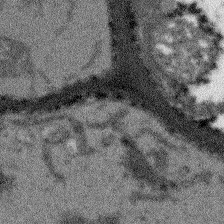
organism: Arabidopsis thaliana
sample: Root tip